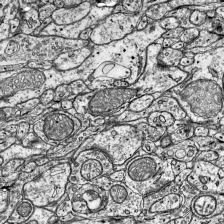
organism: Mouse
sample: Visual Cortex